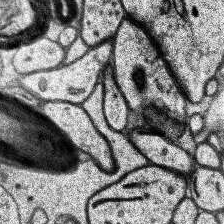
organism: Human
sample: Temporal Lobe